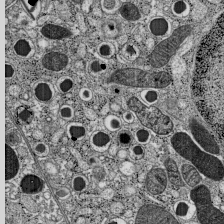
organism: C57BL Mouse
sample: Pancreatic islet